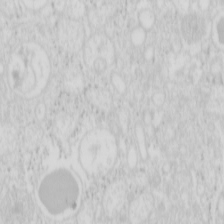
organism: Mouse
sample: Pancreas